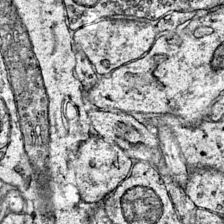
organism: Mouse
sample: Primary visual cortex